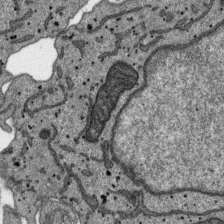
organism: Human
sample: Lung epithelial cells, uninfected (mock) control